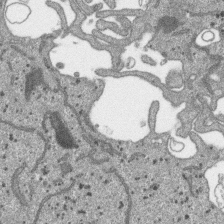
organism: Human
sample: Lung epithelial cells infected with SARS-CoV-2